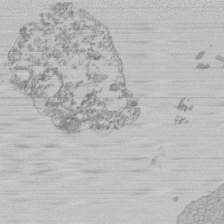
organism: Mouse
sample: Activated Pmel transgenic CD8+ T Cells